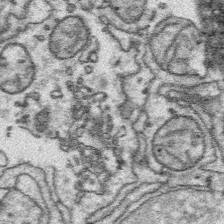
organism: Platynereis dumerilii